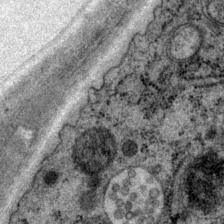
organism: P. pacificus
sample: Pharynx